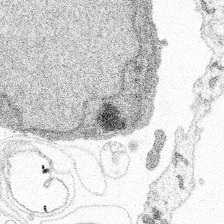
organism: Spongilla lacustris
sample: Multiple